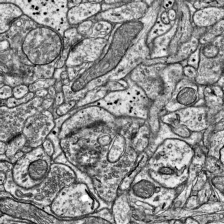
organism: Mouse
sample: Visual Cortex